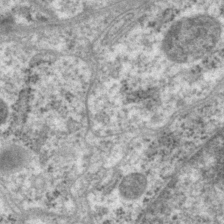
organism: P. pacificus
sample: Pharynx